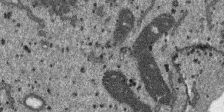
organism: Human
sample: Lung epithelial cells infected with SARS-CoV-2